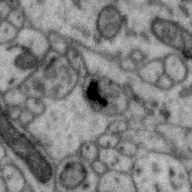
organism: Zebra finch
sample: Brain